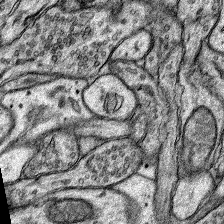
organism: Rat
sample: Hippocampus